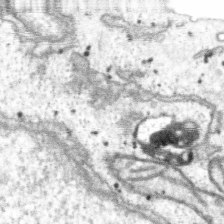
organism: Human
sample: HeLa cells